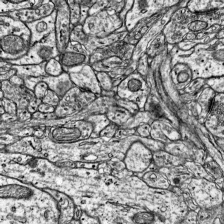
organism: Mouse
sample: Visual Cortex